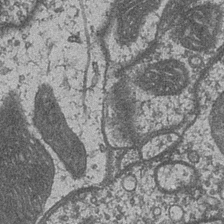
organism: Drosophila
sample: Optic medulla